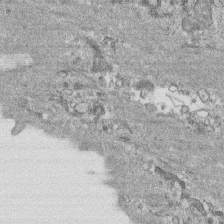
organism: Human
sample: CRL-1474